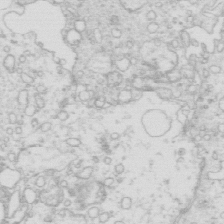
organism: Mouse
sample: Multiciliated cells